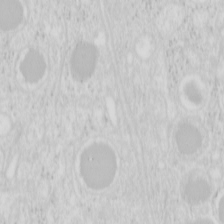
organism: Mouse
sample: Pancreas